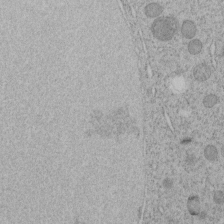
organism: C. elegans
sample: C. elegans embryo early stage